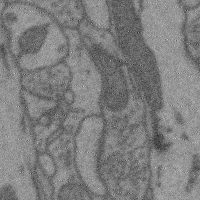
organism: Mouse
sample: Cerebral cortex